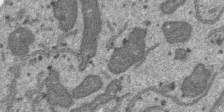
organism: Human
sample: Lung epithelial cells infected with SARS-CoV-2